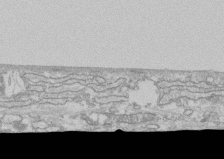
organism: Human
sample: CRL-1474